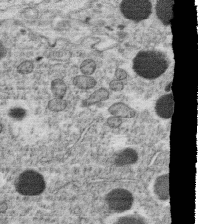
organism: C. elegans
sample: C. elegans oocyte; sperm cells